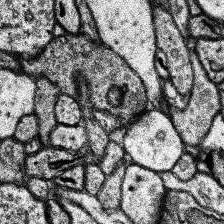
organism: Human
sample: Temporal Lobe